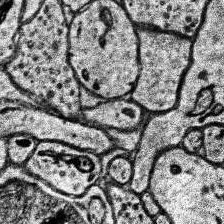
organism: Human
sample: Temporal Lobe